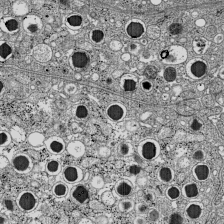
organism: C57BL Mouse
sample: Pancreatic islet